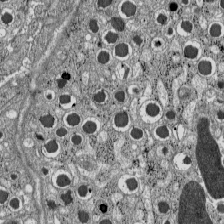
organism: C57BL Mouse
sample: Pancreatic islet